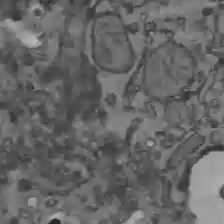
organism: C57BL Mouse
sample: Liver